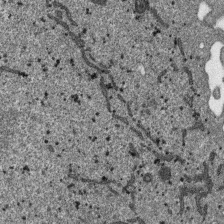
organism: Human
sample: Lung epithelial cells infected with SARS-CoV-2